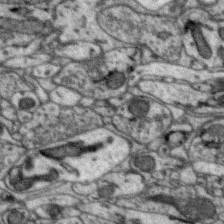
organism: Zebra finch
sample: Brain